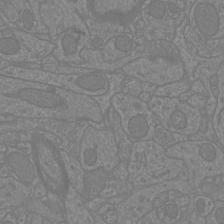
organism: Mouse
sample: Cortical neurons